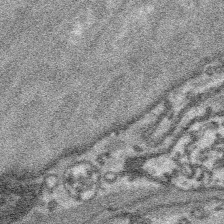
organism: Platynereis dumerilii